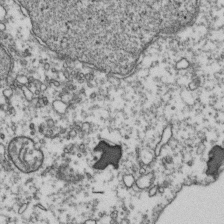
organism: Human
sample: Activated Jurkat CD4+ T cells